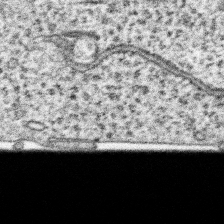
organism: Human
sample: HeLa cells